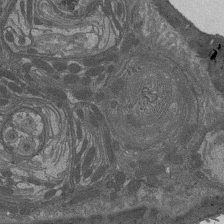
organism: Drosophila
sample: Antenna